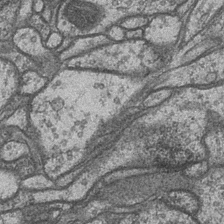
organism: Drosophila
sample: Optic medulla